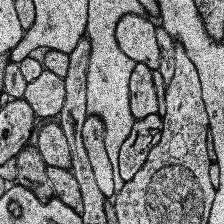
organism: Human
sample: Temporal Lobe